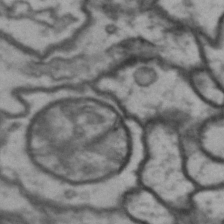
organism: Drosophila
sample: Brain